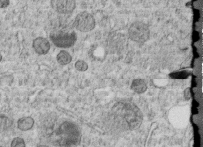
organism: C. elegans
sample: C. elegans embryo early stage